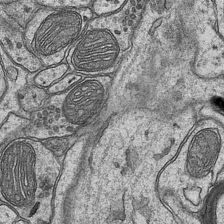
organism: Mouse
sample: CA1 Hippocampus